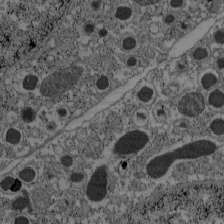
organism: C57BL Mouse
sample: Pancreatic islet